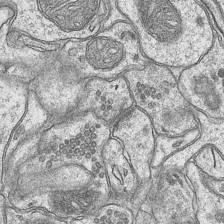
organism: Mouse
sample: CA1 Hippocampus